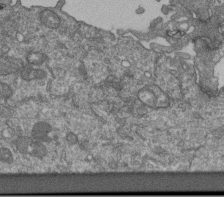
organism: Human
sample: Retinal organoid Rod and Cone cells